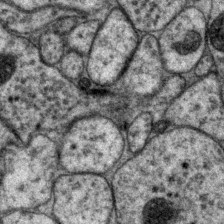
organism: P. pacificus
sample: Pharynx